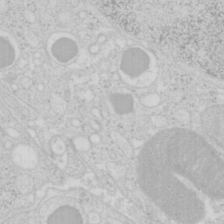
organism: Mouse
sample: Pancreas